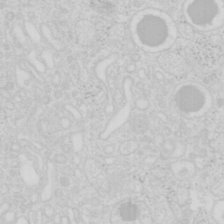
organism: Mouse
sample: Pancreas